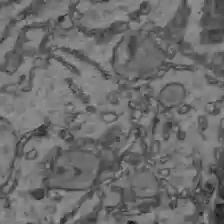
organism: C57BL Mouse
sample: Liver